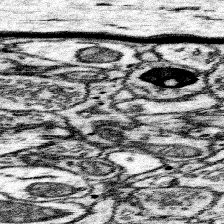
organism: Mouse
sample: Somatosensory cortex neuropil